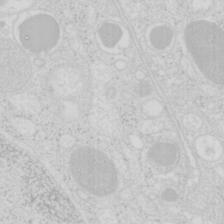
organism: Mouse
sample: Pancreas